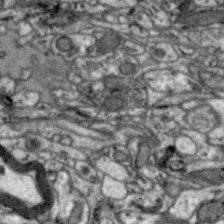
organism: Zebra finch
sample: Brain